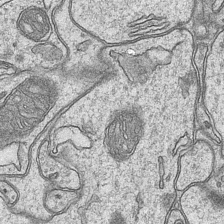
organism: Mouse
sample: CA1 Hippocampus